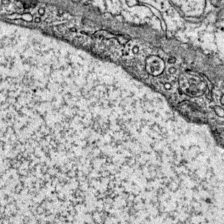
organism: Mouse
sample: Primary visual cortex